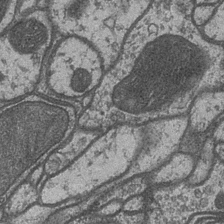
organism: Drosophila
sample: Optic medulla